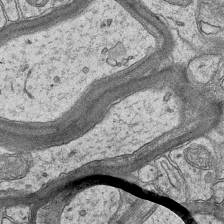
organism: Mouse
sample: CA1 Hippocampus